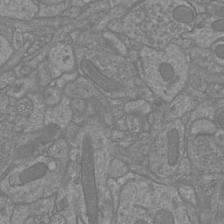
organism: Mouse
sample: Cortical neurons